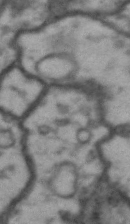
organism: Drosophila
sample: Brain